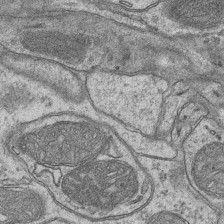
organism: Mouse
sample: CA1 Hippocampus